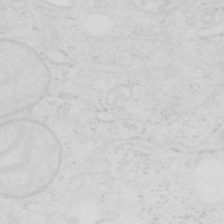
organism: Human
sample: SUM-159 cell